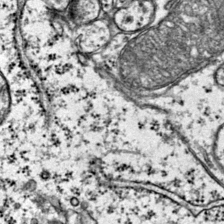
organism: Mouse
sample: Primary visual cortex